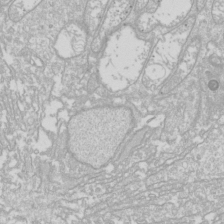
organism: Drosophila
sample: Cell division; meiosis; drosophila spermatocytes